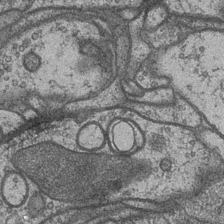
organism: Drosophila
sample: Optic medulla